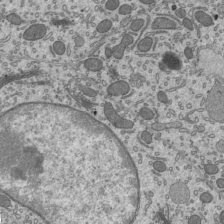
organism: Mouse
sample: Mouse epididymis efferent ductule cilia